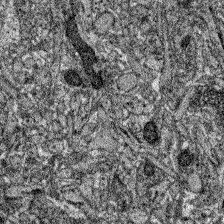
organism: Zebrafish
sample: Larval olfactory bulb